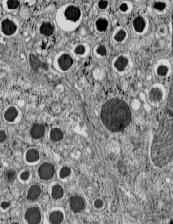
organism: C57BL Mouse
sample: Pancreatic islet